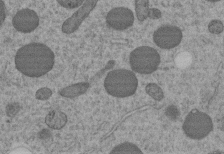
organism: C. elegans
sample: C. elegans embryo early stage